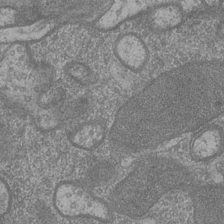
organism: Drosophila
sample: Optic medulla